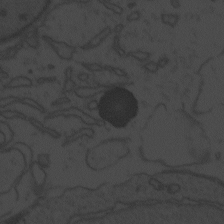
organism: Zebrafish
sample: Macrophage infected with Toxoplasma gondii